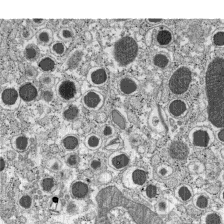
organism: C57BL Mouse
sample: Pancreatic islet